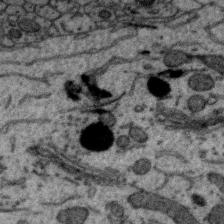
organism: Zebra finch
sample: Brain